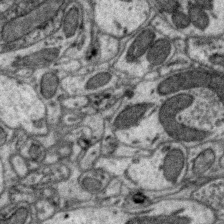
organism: Zebra finch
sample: Brain